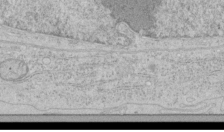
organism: Human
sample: Mitochondria in HCT116 cells